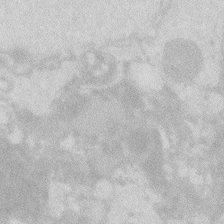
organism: Zebrafish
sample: Macrophage